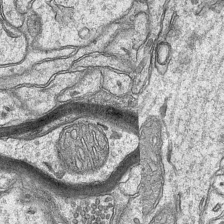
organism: Mouse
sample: CA1 Hippocampus